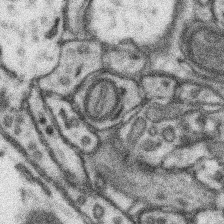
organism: Mouse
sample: Somatosensory cortex neuropil